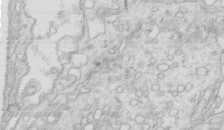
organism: Mouse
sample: Multiciliated cells